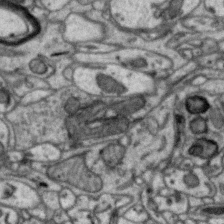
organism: Zebra finch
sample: Brain